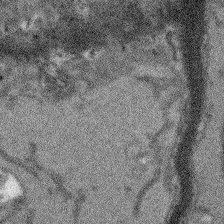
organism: Arabidopsis thaliana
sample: Root tip